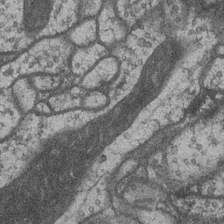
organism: Drosophila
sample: Optic medulla